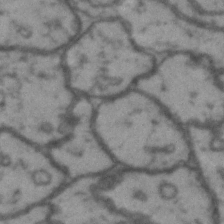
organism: Drosophila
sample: Brain